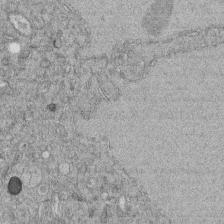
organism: C. elegans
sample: C. elegans embryo early stage